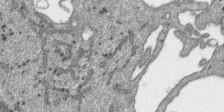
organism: Human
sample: Lung epithelial cells infected with SARS-CoV-2